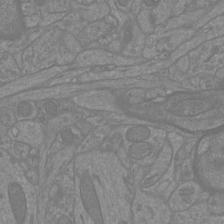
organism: Mouse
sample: Cortical neurons